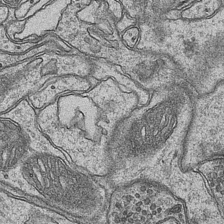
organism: Mouse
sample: CA1 Hippocampus